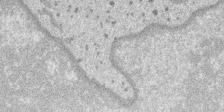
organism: Human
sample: Lung epithelial cells infected with SARS-CoV-2